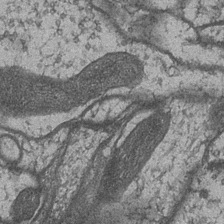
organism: Drosophila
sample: Optic medulla